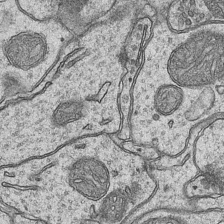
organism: Mouse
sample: CA1 Hippocampus